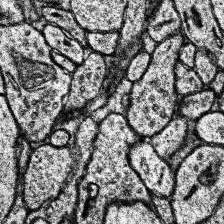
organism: Human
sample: Temporal Lobe